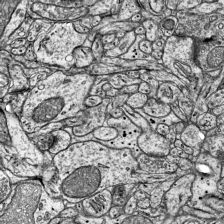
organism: Mouse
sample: Visual Cortex